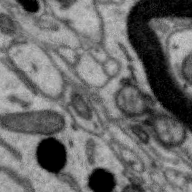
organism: Zebra finch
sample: Brain